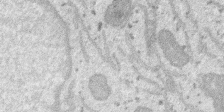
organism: Human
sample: Lung epithelial cells infected with SARS-CoV-2